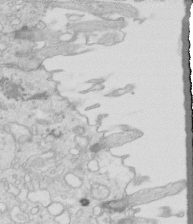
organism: Mouse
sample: Multiciliated cells